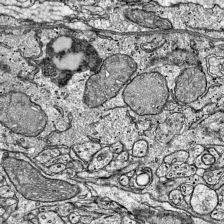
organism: Mouse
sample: Visual Cortex